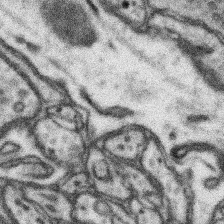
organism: Mouse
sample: Somatosensory cortex neuropil